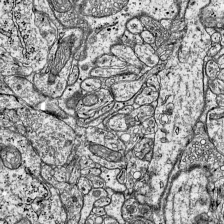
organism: Mouse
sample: Visual Cortex